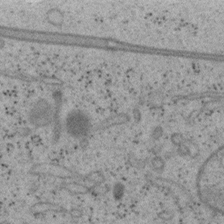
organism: Human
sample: HeLa cells